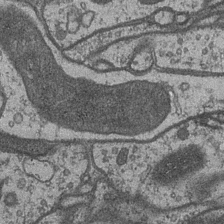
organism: Drosophila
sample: Optic medulla